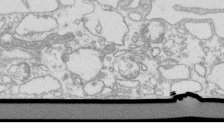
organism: Mouse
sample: Macrophages